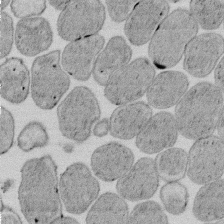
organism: E. coli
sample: Bacterial nucleoid